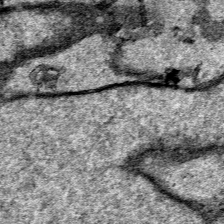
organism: Human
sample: Mitochondria in HCT116 cells